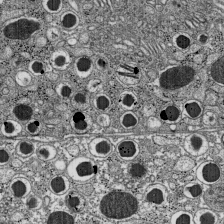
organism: C57BL Mouse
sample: Pancreatic islet